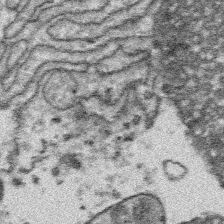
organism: Platynereis dumerilii